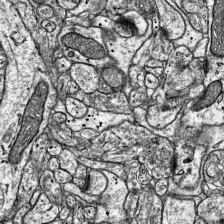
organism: Mouse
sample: Visual Cortex